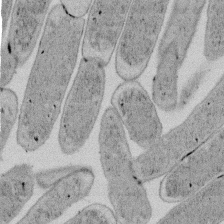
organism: E. coli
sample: Bacterial nucleoid